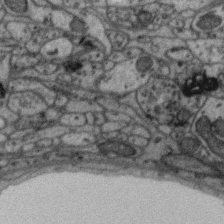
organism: Zebra finch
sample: Brain